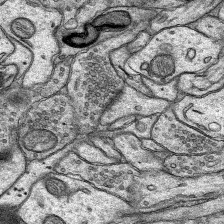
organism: Rat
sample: Hippocampus